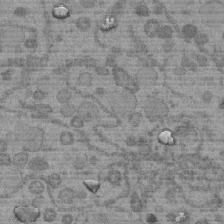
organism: C. elegans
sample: C. elegans embryo early stage